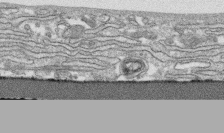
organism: Human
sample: CRL-1474